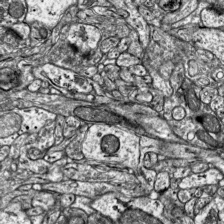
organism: Mouse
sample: Visual Cortex